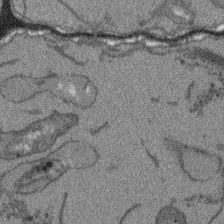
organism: Arabidopsis thaliana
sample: Root tip